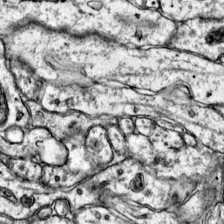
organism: Mouse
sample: Primary visual cortex